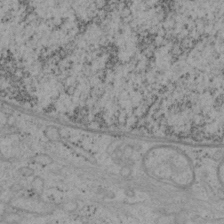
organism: Human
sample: HeLa cells